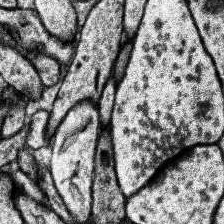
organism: Human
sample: Temporal Lobe